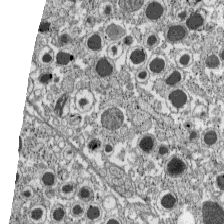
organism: C57BL Mouse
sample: Pancreatic islet